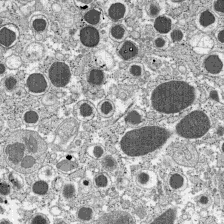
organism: C57BL Mouse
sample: Pancreatic islet